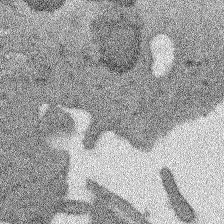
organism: Human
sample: HeLa cells